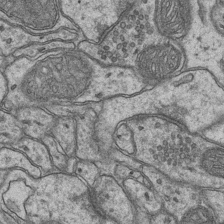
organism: Mouse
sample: CA1 Hippocampus